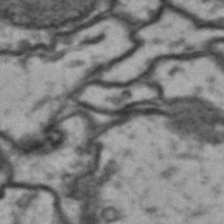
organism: Drosophila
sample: Brain